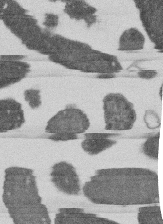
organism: E. coli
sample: Bacterial nucleoid